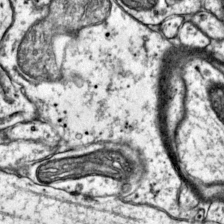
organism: Mouse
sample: Primary visual cortex